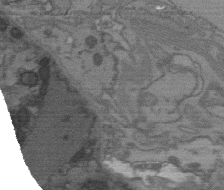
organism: C. elegans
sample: AFD neurons C. elegans